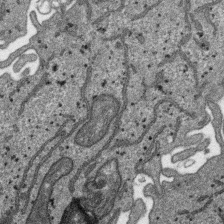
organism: Human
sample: Lung epithelial cells infected with SARS-CoV-2